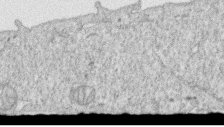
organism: Human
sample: HeLa cell HIV synapse